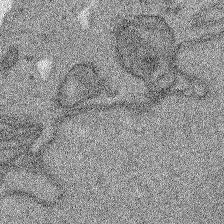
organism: Human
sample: HeLa cells